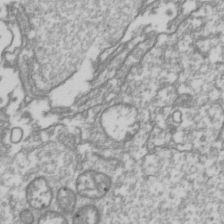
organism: Drosophila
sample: Cell division; meiosis; drosophila spermatocytes